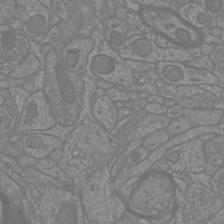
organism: Mouse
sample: Cortical neurons